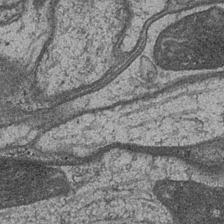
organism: Drosophila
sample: Optic medulla